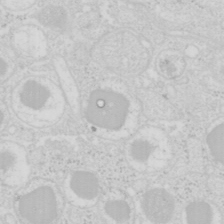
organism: Mouse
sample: Pancreas